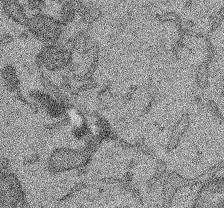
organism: Human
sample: HeLa cells